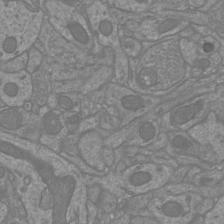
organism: Mouse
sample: Cortical neurons